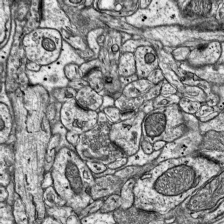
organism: Mouse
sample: Visual Cortex